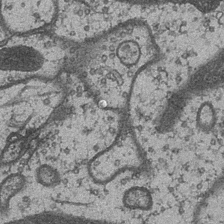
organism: Drosophila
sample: Optic medulla